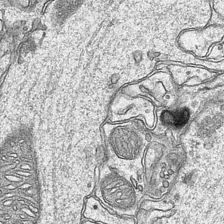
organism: Mouse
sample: CA1 Hippocampus